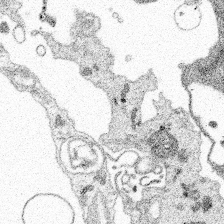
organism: Spongilla lacustris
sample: Multiple